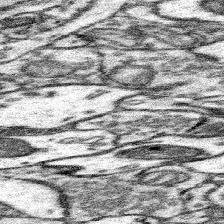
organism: Mouse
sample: Somatosensory cortex neuropil